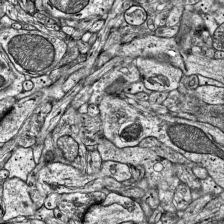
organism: Mouse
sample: Visual Cortex